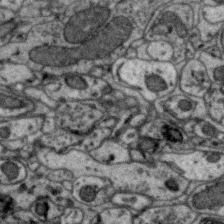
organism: Zebra finch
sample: Brain